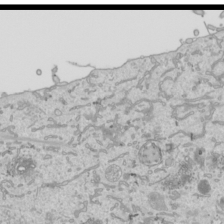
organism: Human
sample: Mitochondria in HCT116 cells